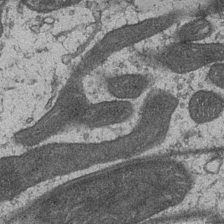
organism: Drosophila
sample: Optic medulla